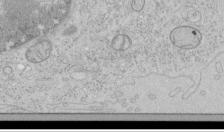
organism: Human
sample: Mitochondria in HCT116 cells